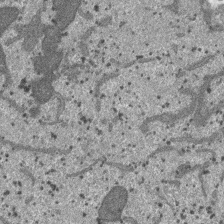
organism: Human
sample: Lung epithelial cells infected with SARS-CoV-2